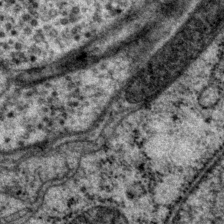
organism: P. pacificus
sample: Pharynx